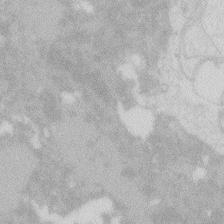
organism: Zebrafish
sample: Macrophage